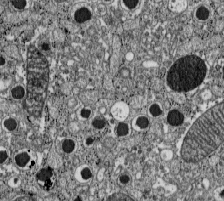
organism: C57BL Mouse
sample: Pancreatic islet